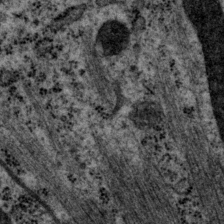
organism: P. pacificus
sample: Pharynx